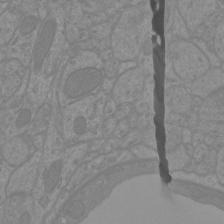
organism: Mouse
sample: Cortical neurons